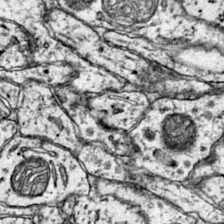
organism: Mouse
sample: Primary visual cortex